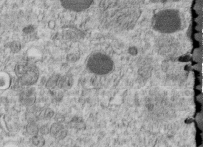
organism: C. elegans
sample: C. elegans embryo early stage